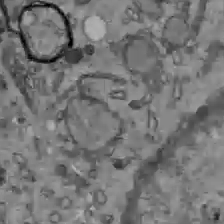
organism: C57BL Mouse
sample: Liver